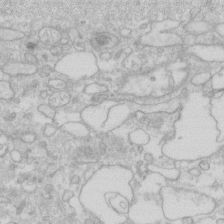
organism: Human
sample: Fibroblast cells